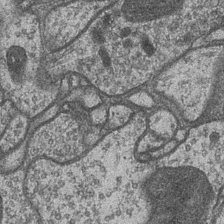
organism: Drosophila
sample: Optic medulla